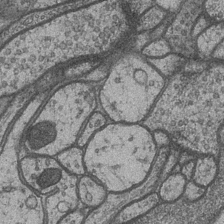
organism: Drosophila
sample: Optic medulla